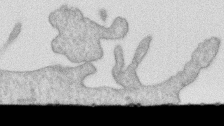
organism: Human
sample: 1205lu cells